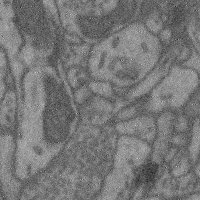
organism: Mouse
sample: Cerebral cortex